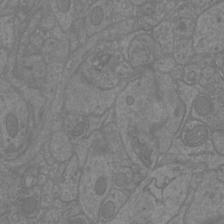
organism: Mouse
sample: Cortical neurons